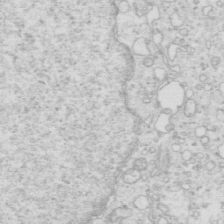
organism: Mouse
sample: Multiciliated cells